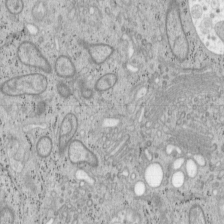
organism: Mouse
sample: OT-I killer T cells with ID8 ovarian cancer cells